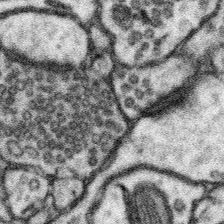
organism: Mouse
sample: Somatosensory cortex neuropil